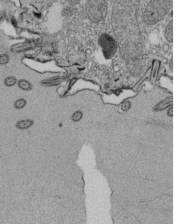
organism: Tetrahymena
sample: Cilia in tetrahymena